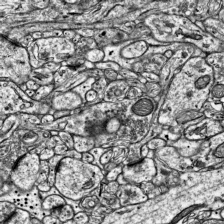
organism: Mouse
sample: Visual Cortex